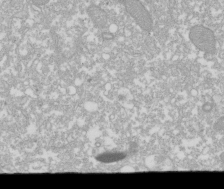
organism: Xenopus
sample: Cilia; centrioles in frog embryo cells